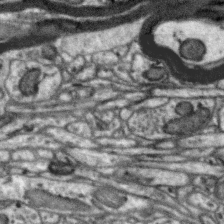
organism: Zebra finch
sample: Brain